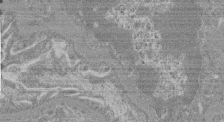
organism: Mouse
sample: Glomerulus